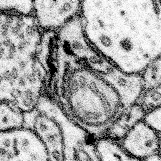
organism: Mouse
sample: Somatosensory cortex neuropil